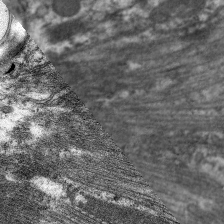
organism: C. elegans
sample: Pharynx